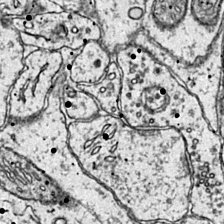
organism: Mouse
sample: Primary visual cortex